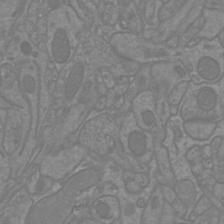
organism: Mouse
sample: Cortical neurons